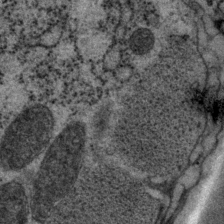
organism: P. pacificus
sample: Pharynx